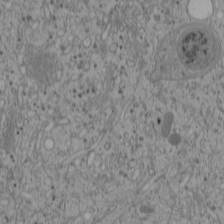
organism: African green monkey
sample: COS-7 cells